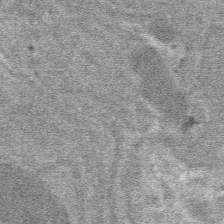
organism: Mouse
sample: Mouse hepatocytes